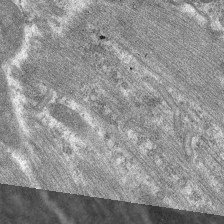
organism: C. elegans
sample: Pharynx